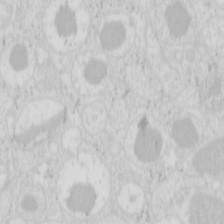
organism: Mouse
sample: Pancreas